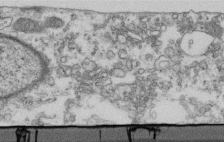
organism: Human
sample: Centriole in fibroblast cells